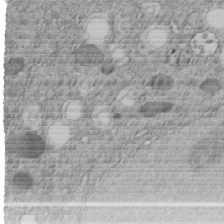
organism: C. elegans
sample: C. elegans embryo early stage